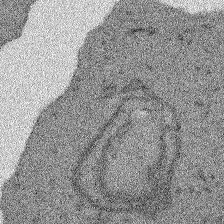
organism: Human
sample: HeLa cells